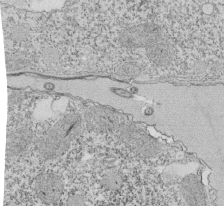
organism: Tetrahymena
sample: Cilia in tetrahymena